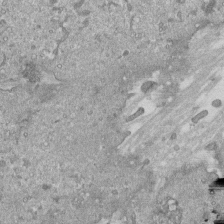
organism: Mouse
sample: ED-1 cell nuclei; centrioles